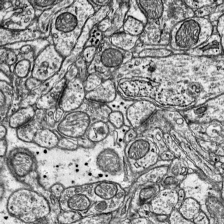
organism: Mouse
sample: Visual Cortex